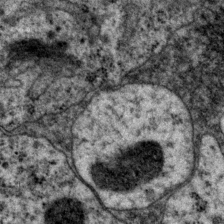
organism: P. pacificus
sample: Pharynx